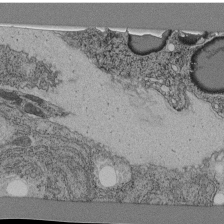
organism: C. elegans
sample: C. elegans pharynx